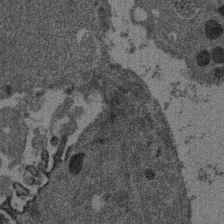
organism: Mouse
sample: Dividing mouse embryo 1 cell stage